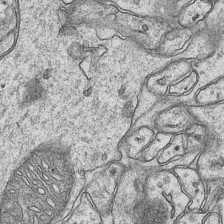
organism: Mouse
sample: CA1 Hippocampus